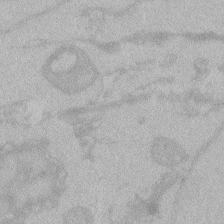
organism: Zebrafish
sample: Macrophage infected with Toxoplasma gondii